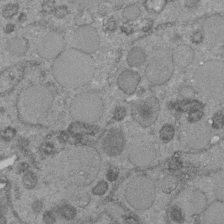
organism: C. elegans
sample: C. elegans embryo early stage